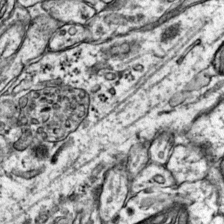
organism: Mouse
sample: Primary visual cortex